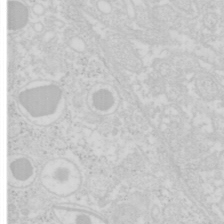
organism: Mouse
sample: Pancreas